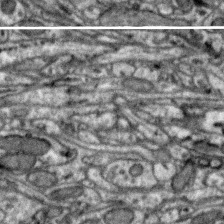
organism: Zebra finch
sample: Brain